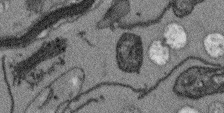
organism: Arabidopsis thaliana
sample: Root tip